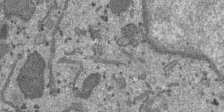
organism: Human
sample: Lung epithelial cells infected with SARS-CoV-2